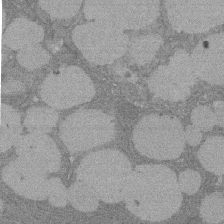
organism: Rat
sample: Salivary granule